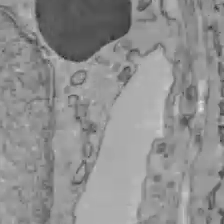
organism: C57BL Mouse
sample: Liver